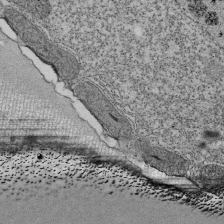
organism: Tetrahymena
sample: Cilia in tetrahymena